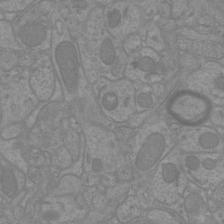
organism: Mouse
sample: Cortical neurons